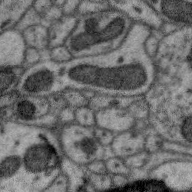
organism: Zebra finch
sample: Brain